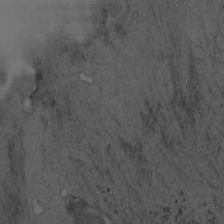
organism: Mouse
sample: OT-I killer T cells with ID8 ovarian cancer cells